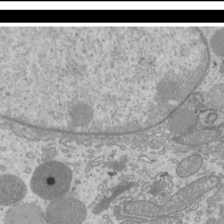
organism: Mouse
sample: Cilia; mouse epididymis